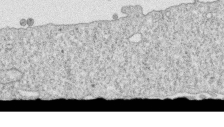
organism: Human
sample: HeLa cell HIV synapse